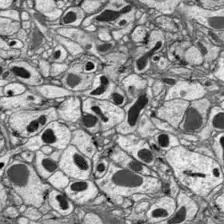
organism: Drosophila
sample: Optic lobe